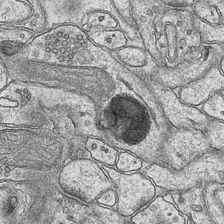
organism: Mouse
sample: CA1 Hippocampus